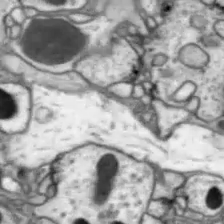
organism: Drosophila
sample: Optic lobe